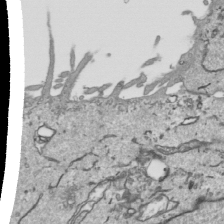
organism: Human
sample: Mitochondria in HCT116 cells